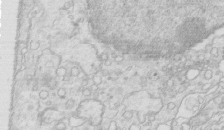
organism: Mouse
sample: Multiciliated cells